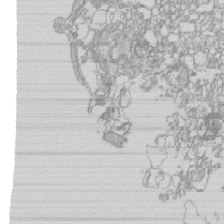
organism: Mouse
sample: Macrophages